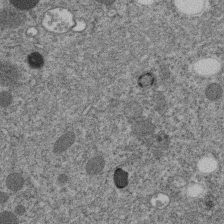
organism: C. elegans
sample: C. elegans embryo early stage